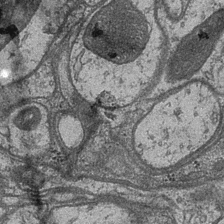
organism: Drosophila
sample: Optic medulla